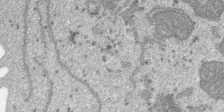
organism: Human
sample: Lung epithelial cells infected with SARS-CoV-2